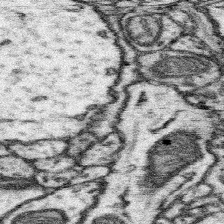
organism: Mouse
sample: Somatosensory cortex neuropil